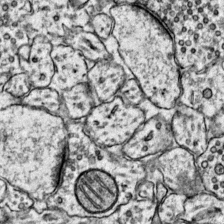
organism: Mouse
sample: Primary visual cortex